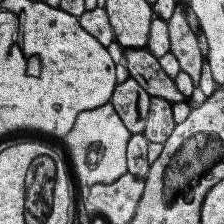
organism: Human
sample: Temporal Lobe